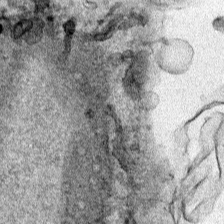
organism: Human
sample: Mitochondria in HCT116 cells